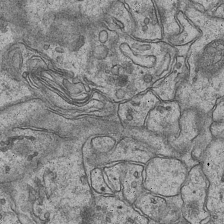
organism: Mouse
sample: CA1 Hippocampus